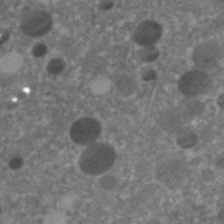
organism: C. elegans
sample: C. elegans embryo